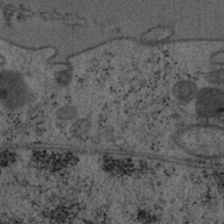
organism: Human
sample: HeLa cells